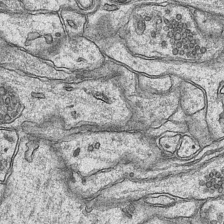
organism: Mouse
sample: CA1 Hippocampus